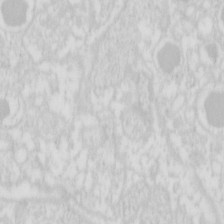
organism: Mouse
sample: Pancreas